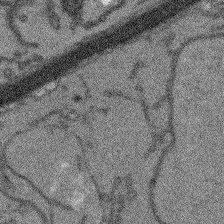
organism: Arabidopsis thaliana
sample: Root tip